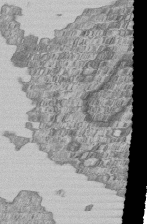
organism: Human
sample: MDA-MB-231 cells